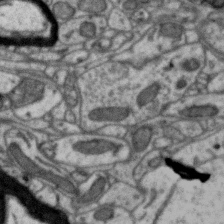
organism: Zebra finch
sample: Brain